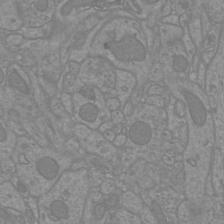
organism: Mouse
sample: Cortical neurons